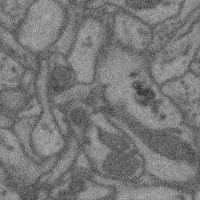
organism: Mouse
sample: Cerebral cortex